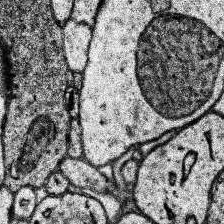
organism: Human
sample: Temporal Lobe